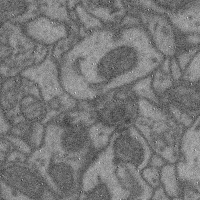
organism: Mouse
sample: Cerebral cortex